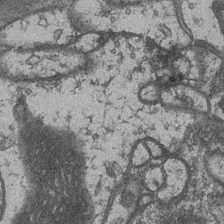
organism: Drosophila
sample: Optic medulla